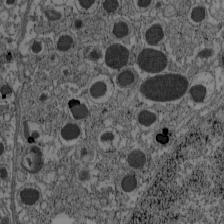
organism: C57BL Mouse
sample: Pancreatic islet